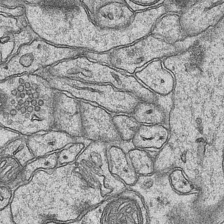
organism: Mouse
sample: CA1 Hippocampus